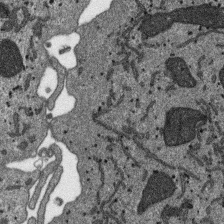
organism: Human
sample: Lung epithelial cells infected with SARS-CoV-2